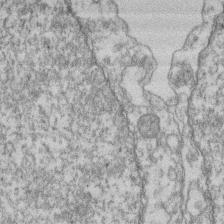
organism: Mouse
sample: T cell stromal cell synapse